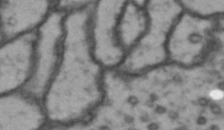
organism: Drosophila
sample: Brain